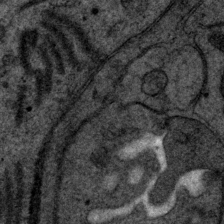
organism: P. pacificus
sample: Pharynx